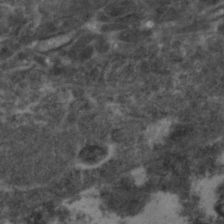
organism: Zebrafish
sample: Zebrafish embryo